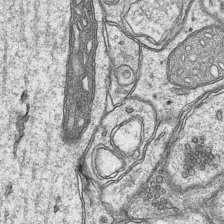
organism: Mouse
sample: CA1 Hippocampus